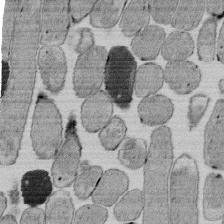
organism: E. coli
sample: Bacterial nucleoid